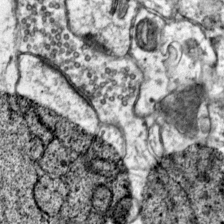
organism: Mouse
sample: Primary visual cortex